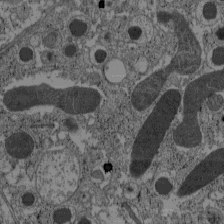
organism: C57BL Mouse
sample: Pancreatic islet